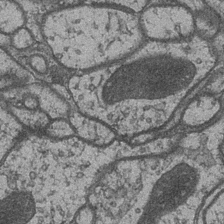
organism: Drosophila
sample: Optic medulla